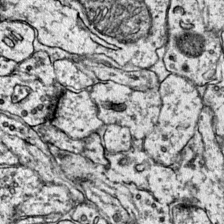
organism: Mouse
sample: Primary visual cortex